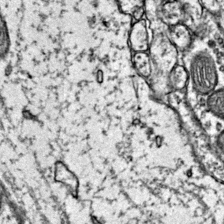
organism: Mouse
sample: Primary visual cortex